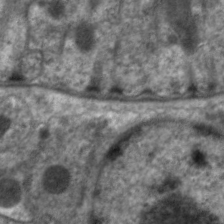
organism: C. elegans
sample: Pharynx